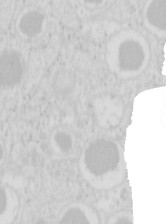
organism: Mouse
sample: Pancreas